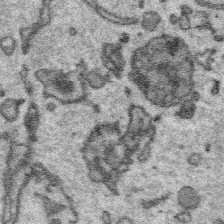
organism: Platynereis dumerilii